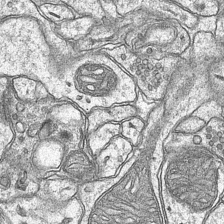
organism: Mouse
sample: CA1 Hippocampus